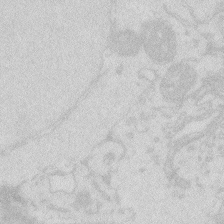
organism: Zebrafish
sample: Macrophage